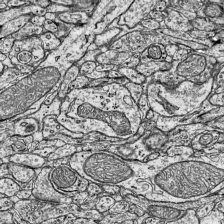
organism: Mouse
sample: Visual Cortex